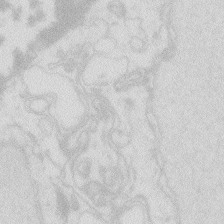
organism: Zebrafish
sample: Macrophage